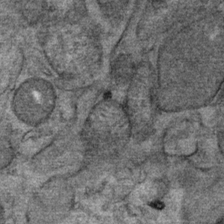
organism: Mouse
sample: Mouse Salivary gland